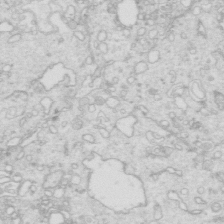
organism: Mouse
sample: Multiciliated cells